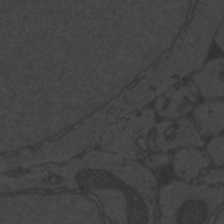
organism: Zebrafish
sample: Macrophage infected with Toxoplasma gondii